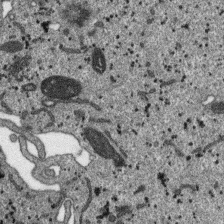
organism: Human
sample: Lung epithelial cells infected with SARS-CoV-2